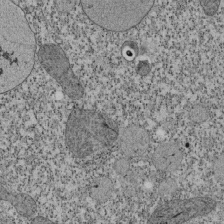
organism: Tetrahymena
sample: Cilia in tetrahymena